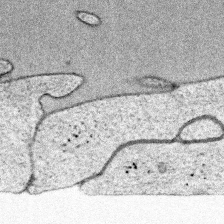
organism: Human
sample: HeLa cells